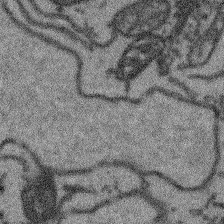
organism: Arabidopsis thaliana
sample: Root tip